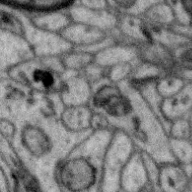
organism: Zebra finch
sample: Brain